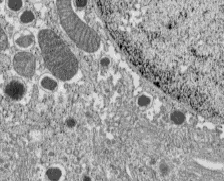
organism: C57BL Mouse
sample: Pancreatic islet